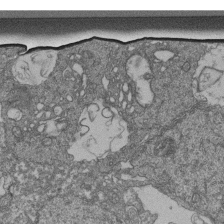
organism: Human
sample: Retinal organoid Rod and Cone cells